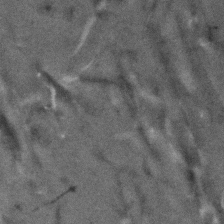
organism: Human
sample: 1205lu cells